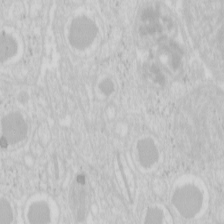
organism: Mouse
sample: Pancreas